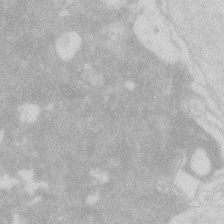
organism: Zebrafish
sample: Macrophage